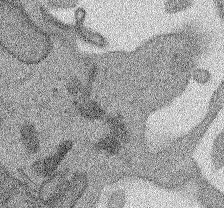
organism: Human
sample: HeLa cells